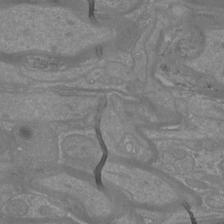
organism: Mouse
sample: Cortical neurons